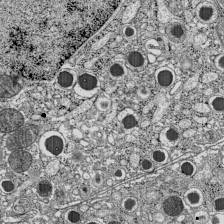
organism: C57BL Mouse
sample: Pancreatic islet